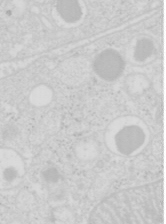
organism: Mouse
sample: Pancreas